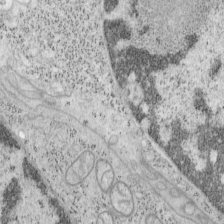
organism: Mouse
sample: OT-I killer T cells with ID8 ovarian cancer cells